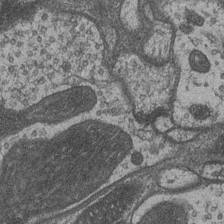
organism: Drosophila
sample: Optic medulla